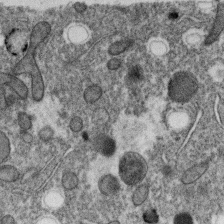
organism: C. elegans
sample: C. elegans oocyte; sperm cells